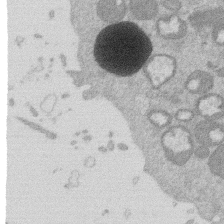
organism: Mouse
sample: Dividing mouse embryo 1 cell stage